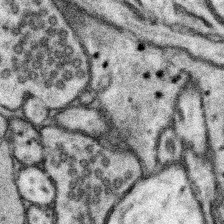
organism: Mouse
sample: Somatosensory cortex neuropil